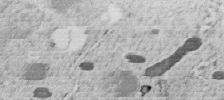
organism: C. elegans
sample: C. elegans embryo early stage